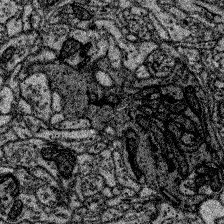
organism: Zebrafish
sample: Larval olfactory bulb